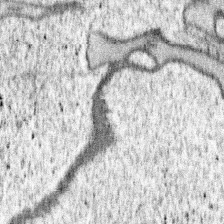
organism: Human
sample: HeLa cells